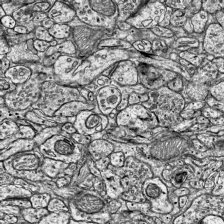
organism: Mouse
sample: Visual Cortex